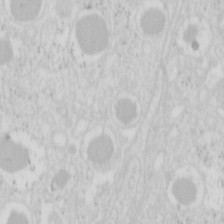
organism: Mouse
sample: Pancreas